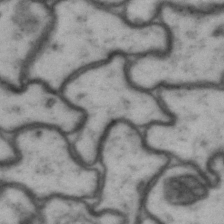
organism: Drosophila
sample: Brain